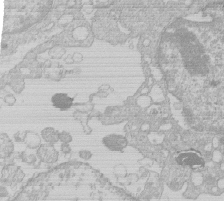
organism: Human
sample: Macrophage cells